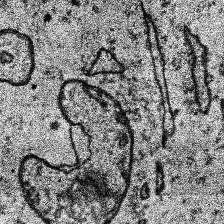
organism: Human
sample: Temporal Lobe